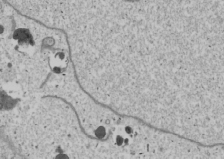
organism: Human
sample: Mitochondria in U2OS cells